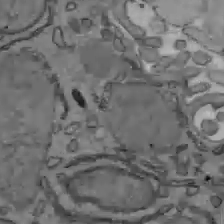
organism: C57BL Mouse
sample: Liver